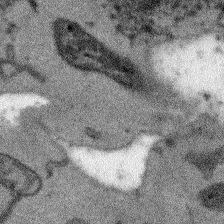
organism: Arabidopsis thaliana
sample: Root tip